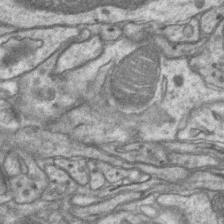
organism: Mouse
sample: CA1 Hippocampus